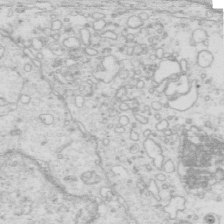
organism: Mouse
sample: Multiciliated cells